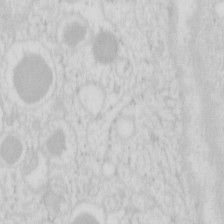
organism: Mouse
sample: Pancreas